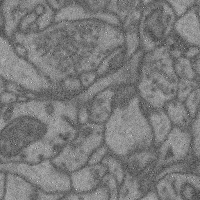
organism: Mouse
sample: Cerebral cortex